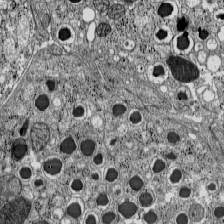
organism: C57BL Mouse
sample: Pancreatic islet